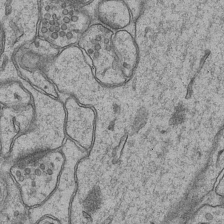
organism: Mouse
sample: CA1 Hippocampus